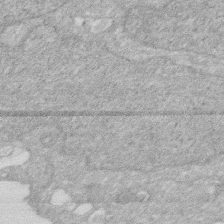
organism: Human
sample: HIV infected U937 cells